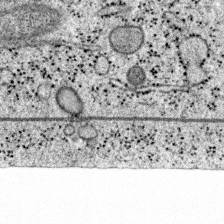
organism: Human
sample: HeLa cells